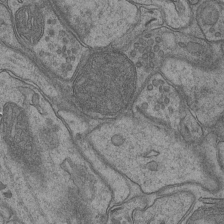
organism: Mouse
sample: CA1 Hippocampus